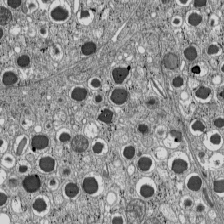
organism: C57BL Mouse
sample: Pancreatic islet